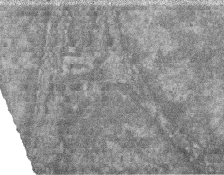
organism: Zebrafish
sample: Cilia; retinal pigment epithelium